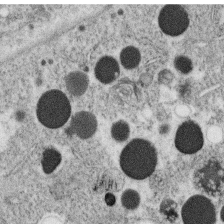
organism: C. elegans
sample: C. elegans oocyte; sperm cells